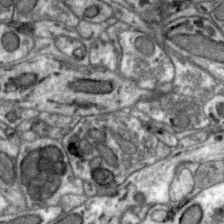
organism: Zebra finch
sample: Brain